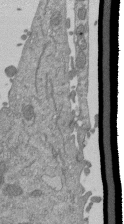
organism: Mouse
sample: ED-1 cell nuclei; centrioles